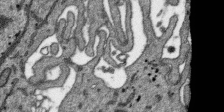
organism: Human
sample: Lung epithelial cells, uninfected (mock) control